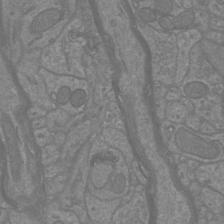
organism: Mouse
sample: Cortical neurons